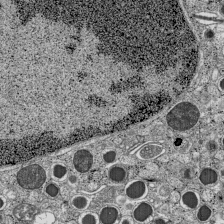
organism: C57BL Mouse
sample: Pancreatic islet